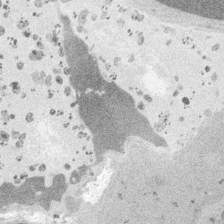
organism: Embia sp.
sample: Silk gland